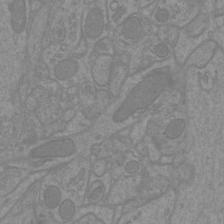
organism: Mouse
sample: Cortical neurons